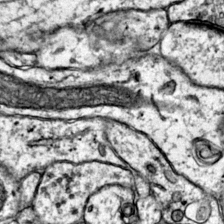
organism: Mouse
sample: Primary visual cortex